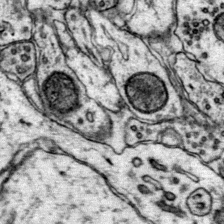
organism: Mouse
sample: Primary visual cortex